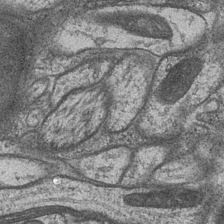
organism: Drosophila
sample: Optic medulla